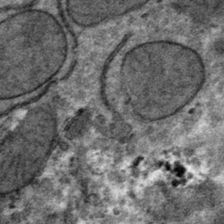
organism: Mouse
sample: Mouse hepatocytes